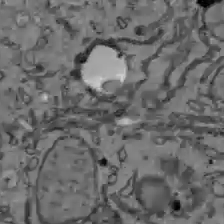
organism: C57BL Mouse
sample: Liver